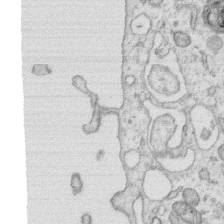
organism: Human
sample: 1205lu cells